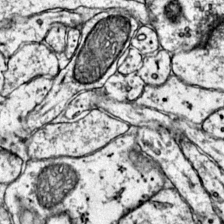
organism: Mouse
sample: Primary visual cortex